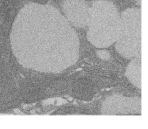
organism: Rat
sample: Salivary granule